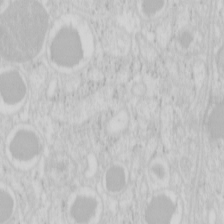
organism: Mouse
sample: Pancreas